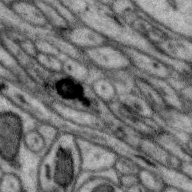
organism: Zebra finch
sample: Brain